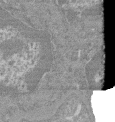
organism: Mouse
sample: Glomerulus